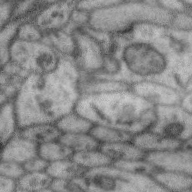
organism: Zebra finch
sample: Brain